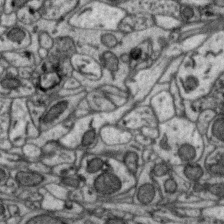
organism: Zebra finch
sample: Brain